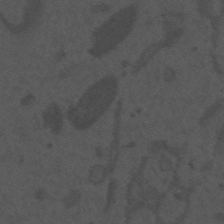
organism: Mouse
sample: Suprachiasmatic nucleus